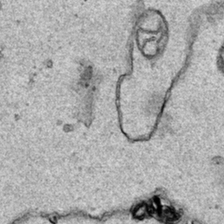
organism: Human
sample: Mitochondria in HCT116 cells